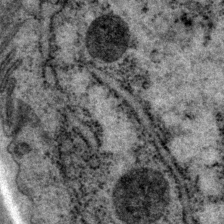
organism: P. pacificus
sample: Pharynx